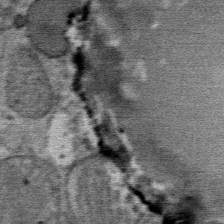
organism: Mouse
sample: Mouse Salivary gland